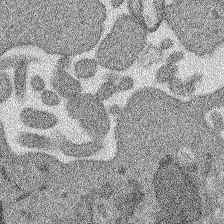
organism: Human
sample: HeLa cells